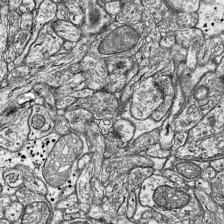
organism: Mouse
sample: Visual Cortex